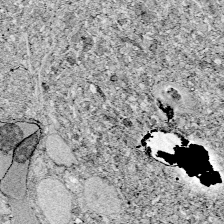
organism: Zebrafish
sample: Whole-Brain